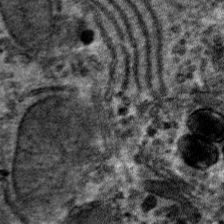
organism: Mouse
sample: Mouse hepatocytes